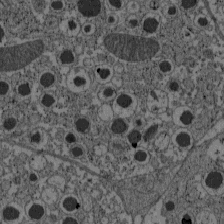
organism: C57BL Mouse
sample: Pancreatic islet